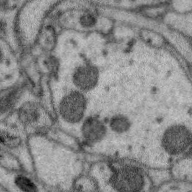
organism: Zebra finch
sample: Brain